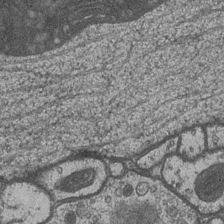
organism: Drosophila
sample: Optic medulla